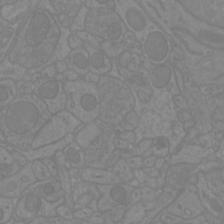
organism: Mouse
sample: Cortical neurons